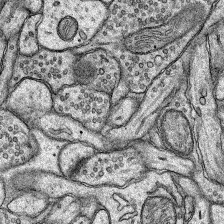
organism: Rat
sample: Hippocampus